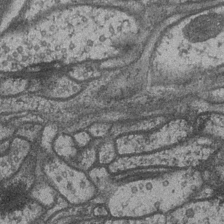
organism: Drosophila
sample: Optic medulla